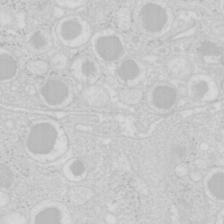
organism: Mouse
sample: Pancreas